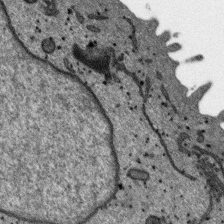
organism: Human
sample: Lung epithelial cells, uninfected (mock) control